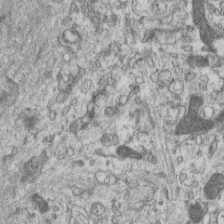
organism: Mouse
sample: Centriole in ependymal cells